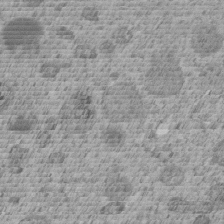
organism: C. elegans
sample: C. elegans embryo early stage